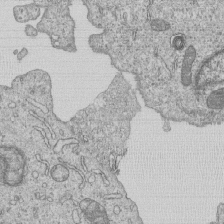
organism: Human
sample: MDA-MB-231 cells